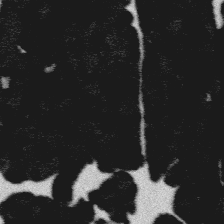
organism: Platynereis dumerilii